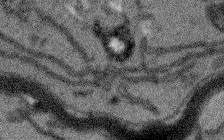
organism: Arabidopsis thaliana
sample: Root tip